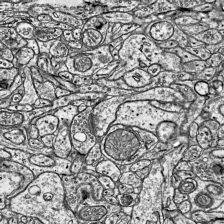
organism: Mouse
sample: Visual Cortex